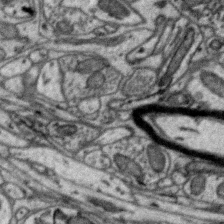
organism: Zebra finch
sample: Brain